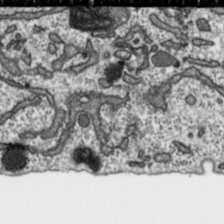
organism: Toxoplasma gondii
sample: Parasites in a vacuole inside a host cell